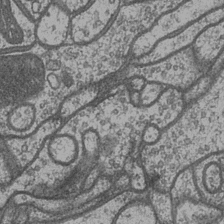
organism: Drosophila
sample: Optic medulla